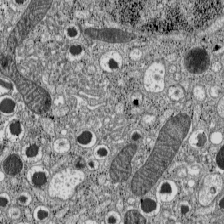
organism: C57BL Mouse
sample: Pancreatic islet